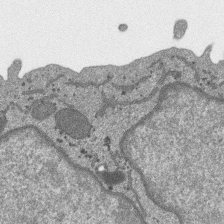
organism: Human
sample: Lung epithelial cells infected with SARS-CoV-2